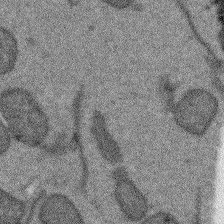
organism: Arabidopsis thaliana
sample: Root tip